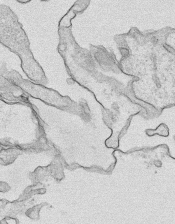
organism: Human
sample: Mitochondria in HCT116 cells